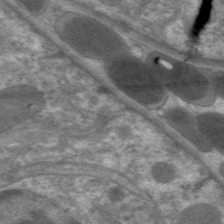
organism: C. elegans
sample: Pharynx